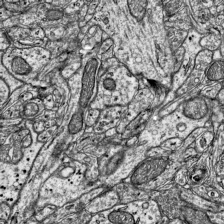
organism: Mouse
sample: Visual Cortex